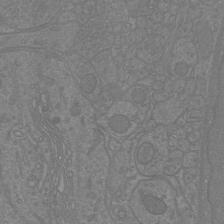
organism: Mouse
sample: Cortical neurons